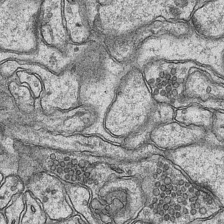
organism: Mouse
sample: CA1 Hippocampus